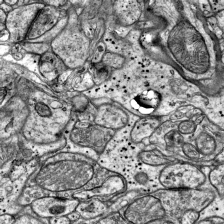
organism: Mouse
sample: Visual Cortex